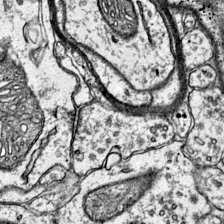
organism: Mouse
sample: Primary visual cortex